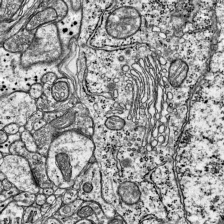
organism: Mouse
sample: Visual Cortex